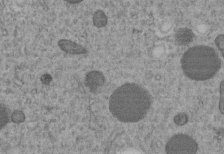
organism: C. elegans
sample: C. elegans embryo early stage